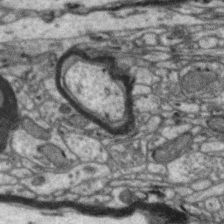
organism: Zebra finch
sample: Brain